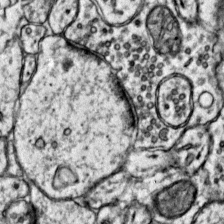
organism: Mouse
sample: Primary visual cortex